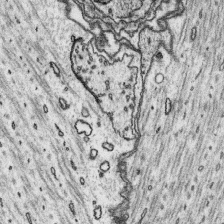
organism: Platynereis dumerilii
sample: Parapodia